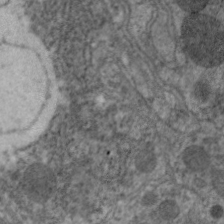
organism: C. elegans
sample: Pharynx